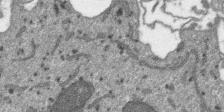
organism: Human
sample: Lung epithelial cells infected with SARS-CoV-2